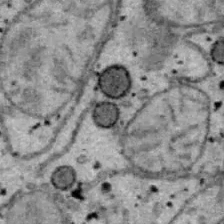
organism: Mouse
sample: Liver from an obese (ob/ob) mouse